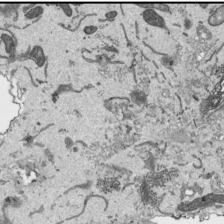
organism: Human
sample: Mitochondria in HCT116 cells